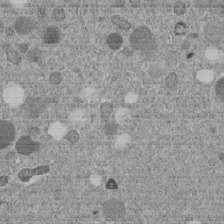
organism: C. elegans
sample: C. elegans embryo early stage